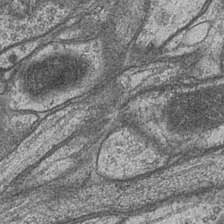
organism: Drosophila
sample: Optic medulla